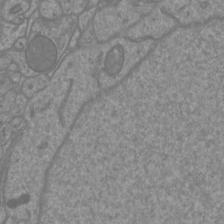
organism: Mouse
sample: Cortical neurons